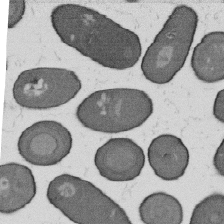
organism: B. subtilis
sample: Bacterial spore